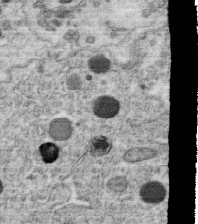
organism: C. elegans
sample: C. elegans oocyte; sperm cells